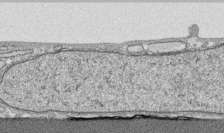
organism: Human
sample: CRL-1474